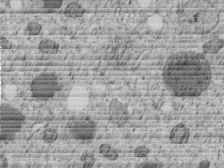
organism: C. elegans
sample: C. elegans embryo early stage